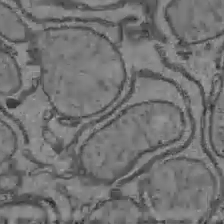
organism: C57BL Mouse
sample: Liver